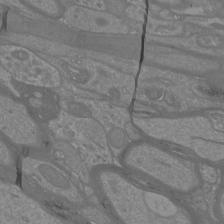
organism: Mouse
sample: Cortical neurons